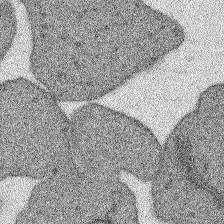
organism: Human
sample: HeLa cells